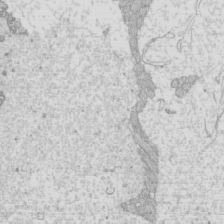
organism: Mouse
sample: Cilia; mouse epididymis